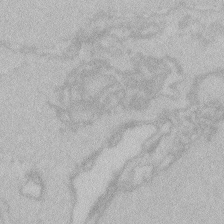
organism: Zebrafish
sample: Macrophage infected with Toxoplasma gondii